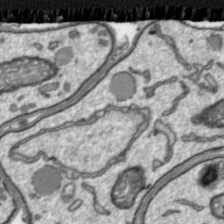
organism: Toxoplasma gondii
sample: Parasites in a vacuole inside a host cell